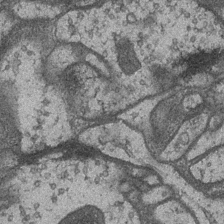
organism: Drosophila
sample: Optic medulla